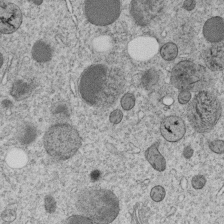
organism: C. elegans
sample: C. elegans embryo early stage